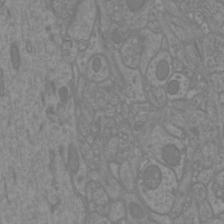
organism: Mouse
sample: Cortical neurons